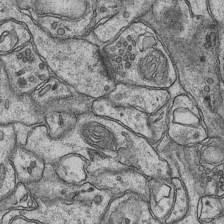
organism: Mouse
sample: CA1 Hippocampus